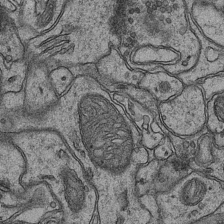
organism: Mouse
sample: CA1 Hippocampus